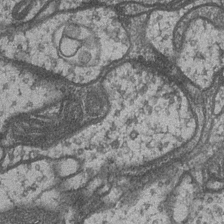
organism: Drosophila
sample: Optic medulla